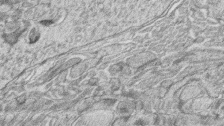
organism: Zebrafish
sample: synaptic ribbons in rod cells and cone cells